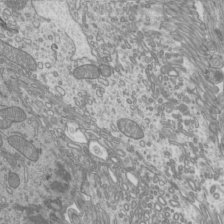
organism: Mouse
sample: Cilia; mouse epididymis